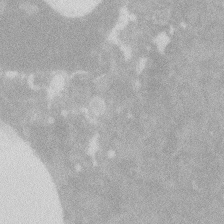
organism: Zebrafish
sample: Macrophage